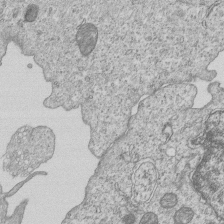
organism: Human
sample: MDA-MB-231 cells